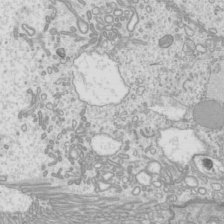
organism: Mouse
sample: Cilia; mouse epididymis